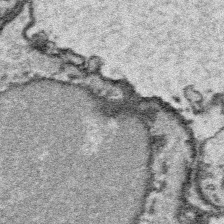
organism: Platynereis dumerilii